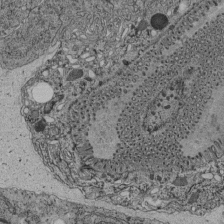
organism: C. elegans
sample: C. elegans pharynx